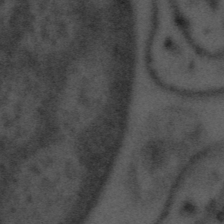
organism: Tuwongella immobilis